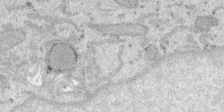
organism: Human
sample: Lung epithelial cells infected with SARS-CoV-2